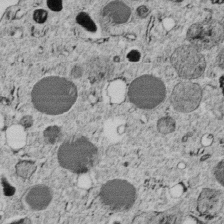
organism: C. elegans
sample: C. elegans embryo early stage